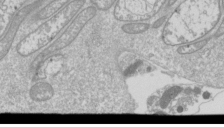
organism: Drosophila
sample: Cell division; meiosis; drosophila spermatocytes